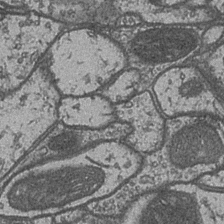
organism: Drosophila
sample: Optic medulla